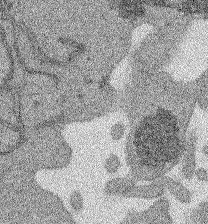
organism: Human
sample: HeLa cells